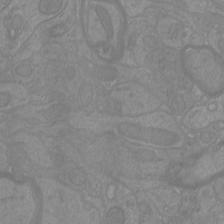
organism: Mouse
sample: Cortical neurons